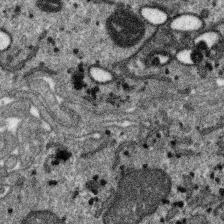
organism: Human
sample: Lung epithelial cells infected with SARS-CoV-2